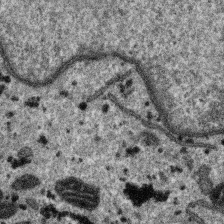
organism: Human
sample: Lung epithelial cells infected with SARS-CoV-2